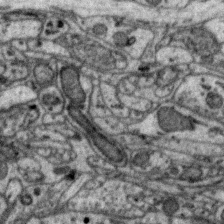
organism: Zebra finch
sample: Brain